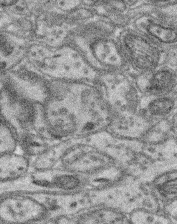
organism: Mouse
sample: Retina